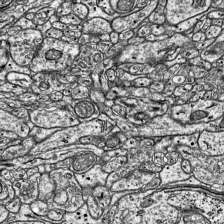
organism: Mouse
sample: Visual Cortex